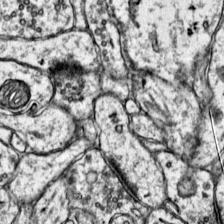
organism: Mouse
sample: Primary visual cortex